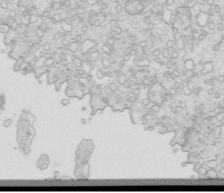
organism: Mouse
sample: Multiciliated cells